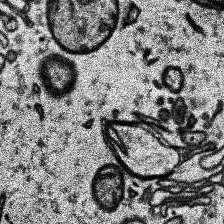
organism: Human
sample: Temporal Lobe